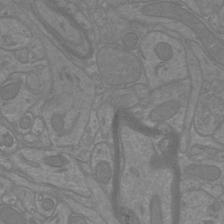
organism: Mouse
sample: Cortical neurons